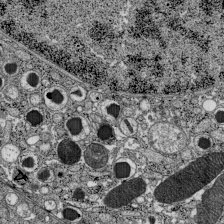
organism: C57BL Mouse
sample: Pancreatic islet